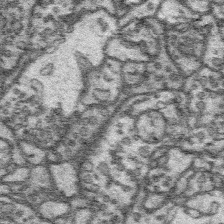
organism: Platynereis dumerilii